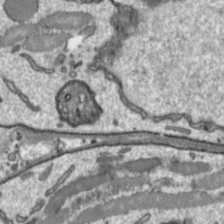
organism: Toxoplasma gondii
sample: Parasites in a vacuole inside a host cell